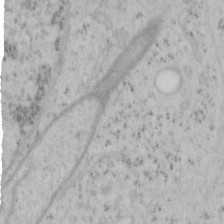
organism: Human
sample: HeLa cells